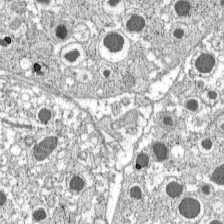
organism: C57BL Mouse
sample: Pancreatic islet